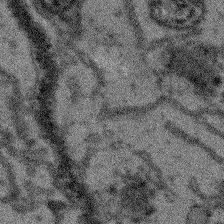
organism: Arabidopsis thaliana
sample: Root tip